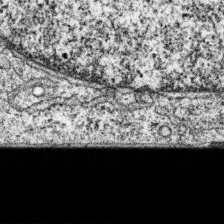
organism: Human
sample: HeLa cells